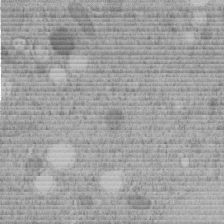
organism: C. elegans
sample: C. elegans embryo early stage